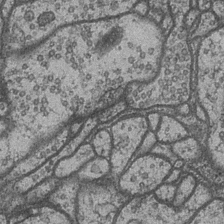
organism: Drosophila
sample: Optic medulla